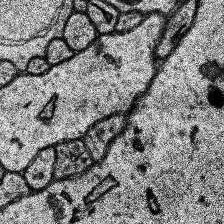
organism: Human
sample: Temporal Lobe